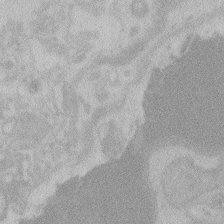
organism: Zebrafish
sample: Macrophage infected with Toxoplasma gondii